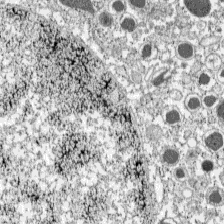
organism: C57BL Mouse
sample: Pancreatic islet